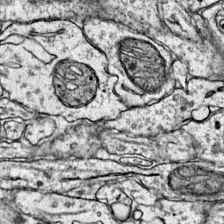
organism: Mouse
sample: Primary visual cortex